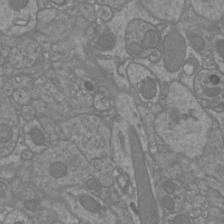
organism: Mouse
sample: Cortical neurons